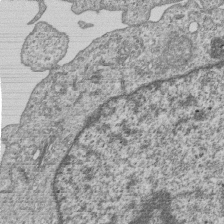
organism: Human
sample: MDA-MB-231 cells